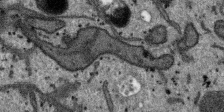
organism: Human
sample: Lung epithelial cells, uninfected (mock) control